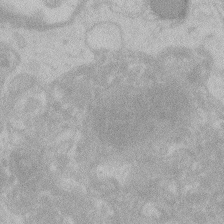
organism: Zebrafish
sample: Macrophage infected with Toxoplasma gondii